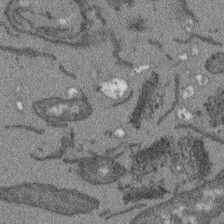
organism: Arabidopsis thaliana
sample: Root tip